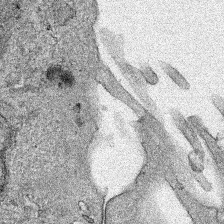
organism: Human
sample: Mitochondria in HCT116 cells